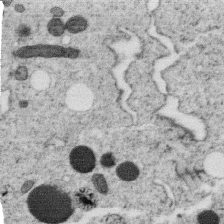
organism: C. elegans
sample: C. elegans oocyte; sperm cells